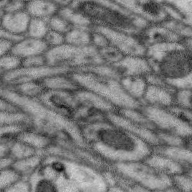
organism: Zebra finch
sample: Brain